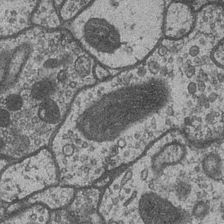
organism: Drosophila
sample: Optic medulla